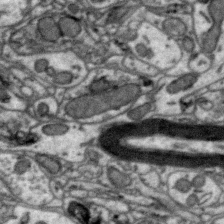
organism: Zebra finch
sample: Brain